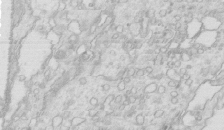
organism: Mouse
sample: Multiciliated cells